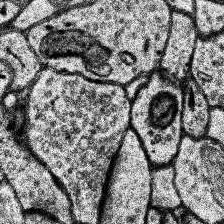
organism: Human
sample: Temporal Lobe